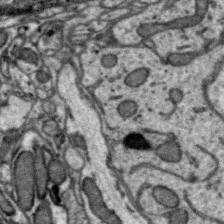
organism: Zebra finch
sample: Brain